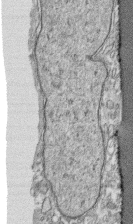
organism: Human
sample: CRL-1474